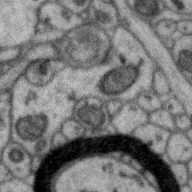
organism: Zebra finch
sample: Brain